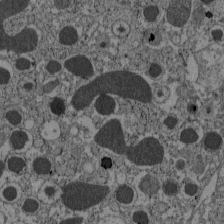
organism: C57BL Mouse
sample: Pancreatic islet